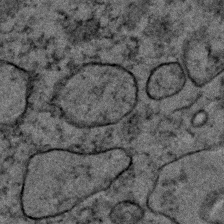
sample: Trachea